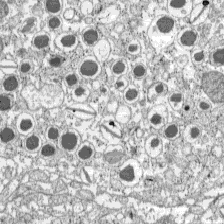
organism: C57BL Mouse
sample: Pancreatic islet